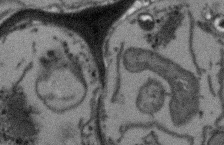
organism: Arabidopsis thaliana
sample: Root tip